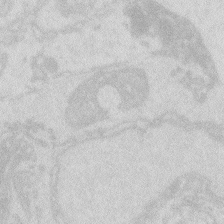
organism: Zebrafish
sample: Macrophage